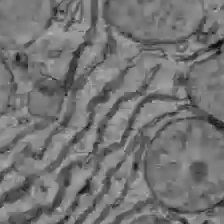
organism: C57BL Mouse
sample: Liver